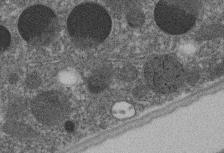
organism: C. elegans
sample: C. elegans embryo early stage